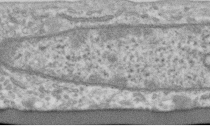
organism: Human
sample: Centriole in RPE cells